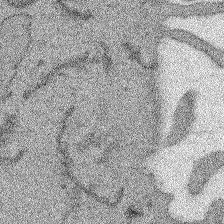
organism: Human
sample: HeLa cells